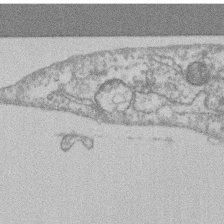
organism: Mouse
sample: T cell stromal cell synapse